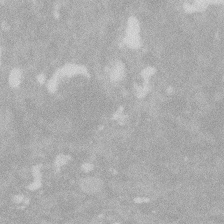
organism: Zebrafish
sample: Macrophage